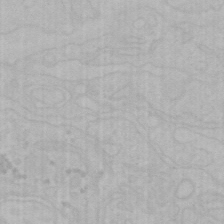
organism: Mouse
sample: Choroid plexus